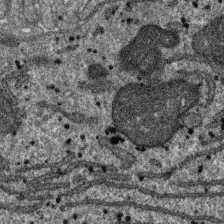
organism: Human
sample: Lung epithelial cells infected with SARS-CoV-2